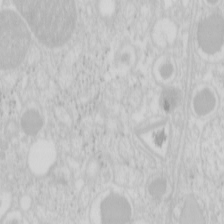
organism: Mouse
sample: Pancreas